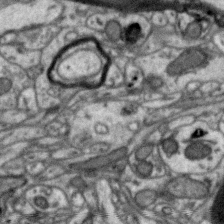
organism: Zebra finch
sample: Brain